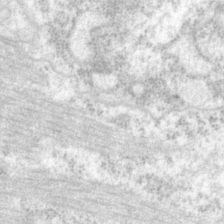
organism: P. pacificus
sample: Pharynx